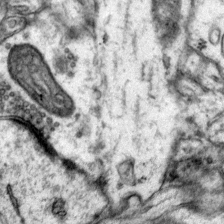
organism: Mouse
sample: Primary visual cortex